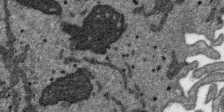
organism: Human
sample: Lung epithelial cells infected with SARS-CoV-2